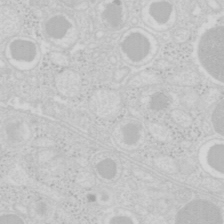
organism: Mouse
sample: Pancreas